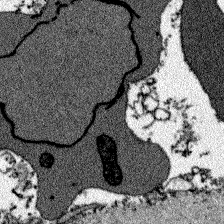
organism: Zebrafish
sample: Larval olfactory bulb